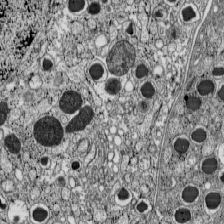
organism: C57BL Mouse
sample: Pancreatic islet